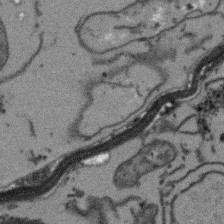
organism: Arabidopsis thaliana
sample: Root tip